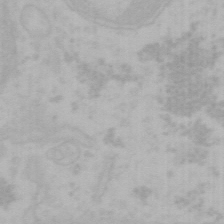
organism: Mouse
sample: Choroid plexus